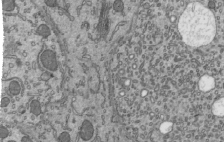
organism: Mouse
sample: Mouse epididymis efferent ductule cilia